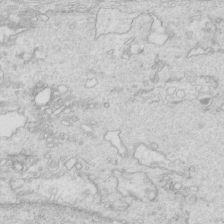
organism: Mouse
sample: Multiciliated cells